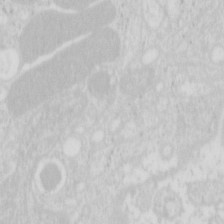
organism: Mouse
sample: Pancreas